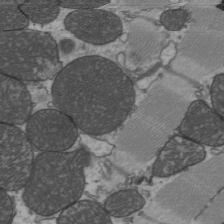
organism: C57BL Mouse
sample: Heart